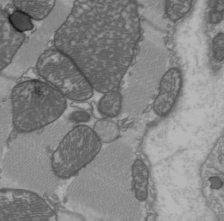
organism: C57BL Mouse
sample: Heart